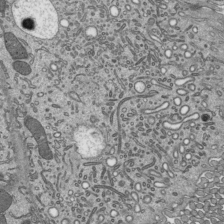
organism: Mouse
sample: Mouse epididymis efferent ductule cilia